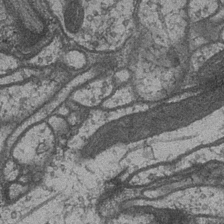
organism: Drosophila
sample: Optic medulla